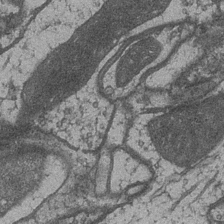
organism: Drosophila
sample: Optic medulla